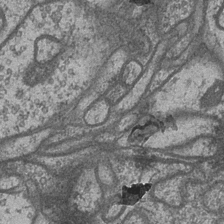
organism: Drosophila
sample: Optic medulla